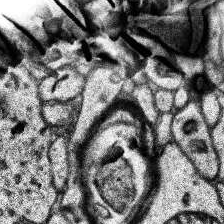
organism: Human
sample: Temporal Lobe